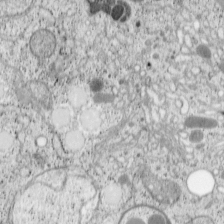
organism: African green monkey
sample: COS-7 cells